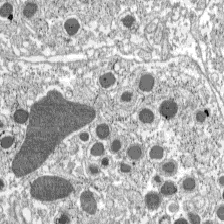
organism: C57BL Mouse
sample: Pancreatic islet